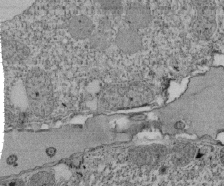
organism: Tetrahymena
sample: Cilia in tetrahymena